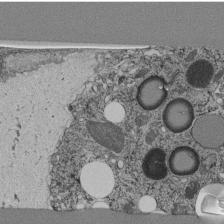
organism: C. elegans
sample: C. elegans pharynx